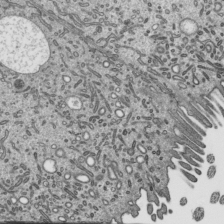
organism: Mouse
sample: Mouse epididymis efferent ductule cilia